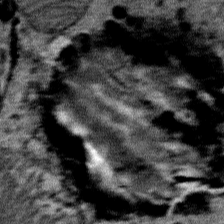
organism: Mouse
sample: Mouse Salivary gland